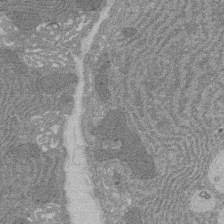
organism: Rat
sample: Salivary granule